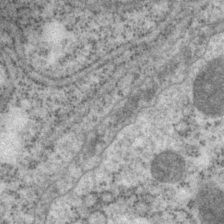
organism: P. pacificus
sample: Pharynx